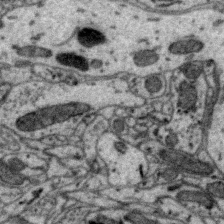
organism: Zebra finch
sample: Brain